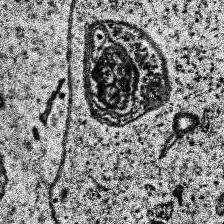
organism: Human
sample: Temporal Lobe